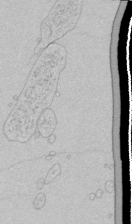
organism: Human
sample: Mitochondria in HCT116 cells